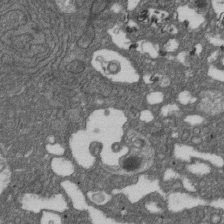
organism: Drosophila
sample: Nephrocyte